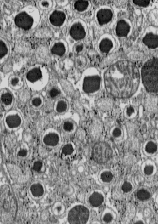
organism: C57BL Mouse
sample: Pancreatic islet